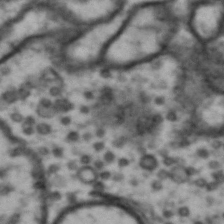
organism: Drosophila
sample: Brain